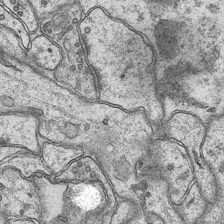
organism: Mouse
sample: CA1 Hippocampus